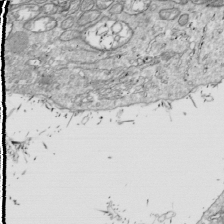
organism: Drosophila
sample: Cell division; meiosis; drosophila spermatocytes